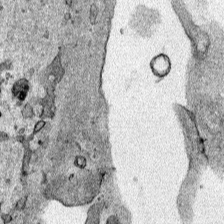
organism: Human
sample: Mitochondria in HCT116 cells